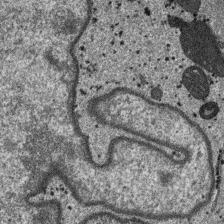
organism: Human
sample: Lung epithelial cells infected with SARS-CoV-2